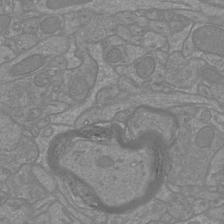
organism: Mouse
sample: Cortical neurons